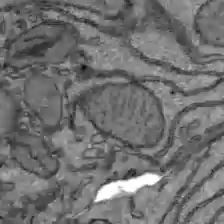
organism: C57BL Mouse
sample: Liver